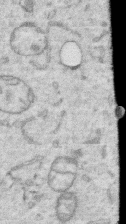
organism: Human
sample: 1205lu cells